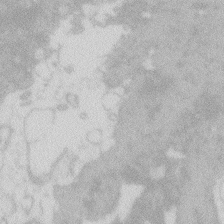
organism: Zebrafish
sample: Macrophage